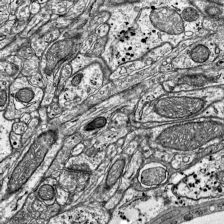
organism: Mouse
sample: Visual Cortex